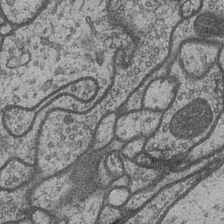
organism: Drosophila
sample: Optic medulla